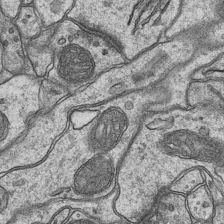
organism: Mouse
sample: CA1 Hippocampus